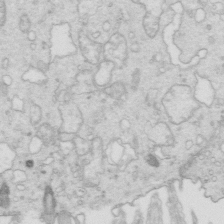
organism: Mouse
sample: Multiciliated cells